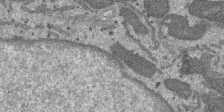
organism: Human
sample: Lung epithelial cells infected with SARS-CoV-2